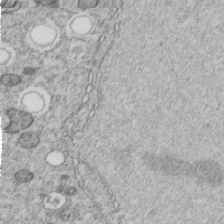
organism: C. elegans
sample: C. elegans embryo early stage